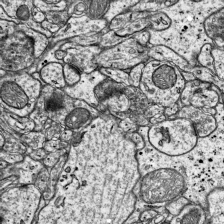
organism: Mouse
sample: Visual Cortex